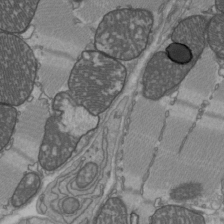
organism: C57BL Mouse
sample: Heart